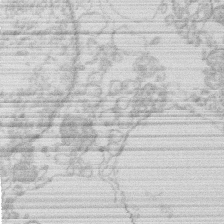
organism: Human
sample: Macrophage cells